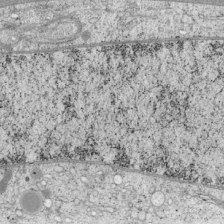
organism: African green monkey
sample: COS-7 cells